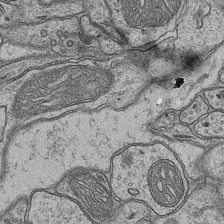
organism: Mouse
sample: CA1 Hippocampus